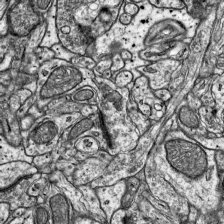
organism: Mouse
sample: Visual Cortex